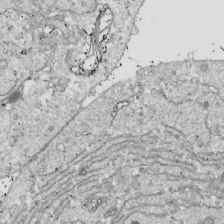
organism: Drosophila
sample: Cell division; meiosis; drosophila spermatocytes